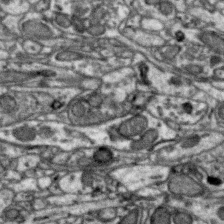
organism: Zebra finch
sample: Brain